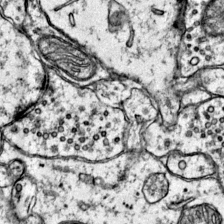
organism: Mouse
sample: Primary visual cortex